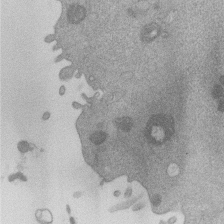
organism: Mouse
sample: Dividing mouse embryo 1 cell stage